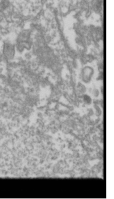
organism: Drosophila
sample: Cell division; meiosis; drosophila spermatocytes